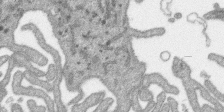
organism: Human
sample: Lung epithelial cells infected with SARS-CoV-2